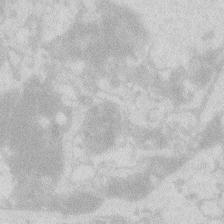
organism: Zebrafish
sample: Macrophage